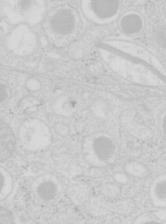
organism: Mouse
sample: Pancreas